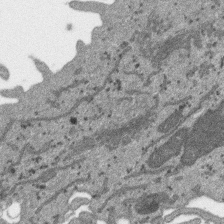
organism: Human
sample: Lung epithelial cells infected with SARS-CoV-2